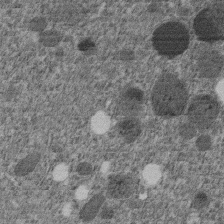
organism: C. elegans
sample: C. elegans embryo early stage